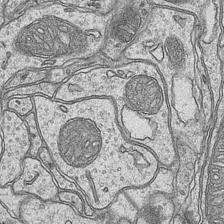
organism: Mouse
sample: CA1 Hippocampus